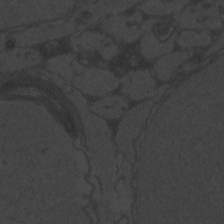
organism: Zebrafish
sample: Macrophage infected with Toxoplasma gondii